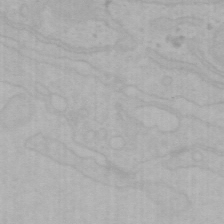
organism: Mouse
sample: Choroid plexus